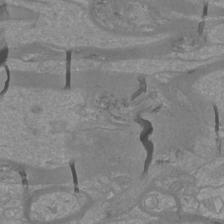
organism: Mouse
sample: Cortical neurons